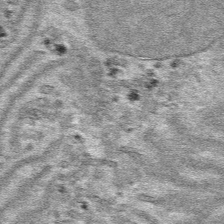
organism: Mouse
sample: Mouse hepatocytes